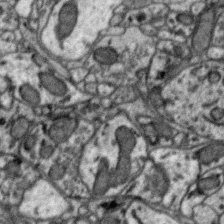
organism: Zebra finch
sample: Brain